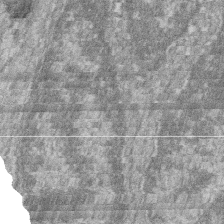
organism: Zebrafish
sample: Cilia; retinal pigment epithelium